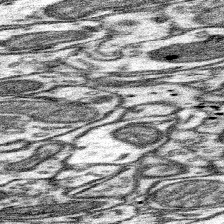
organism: Mouse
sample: Somatosensory cortex neuropil